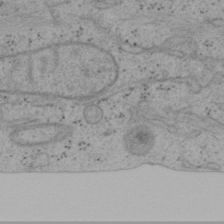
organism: Human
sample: HeLa cells